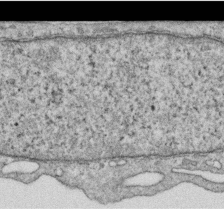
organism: Human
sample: Centriole in RPE cells